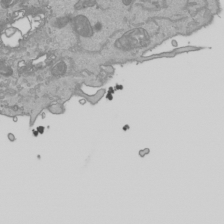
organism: Human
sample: Mitochondria in HCT116 cells